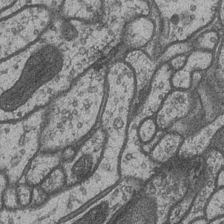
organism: Drosophila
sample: Optic medulla